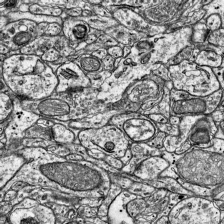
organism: Mouse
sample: Visual Cortex